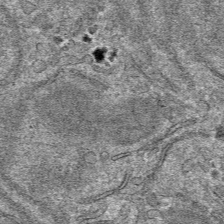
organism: Mouse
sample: Mouse hepatocytes